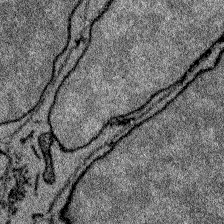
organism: Zebrafish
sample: Larval olfactory bulb